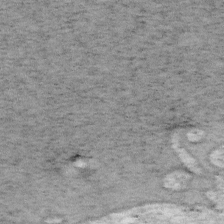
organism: Mouse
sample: OT-I killer T cells with ID8 ovarian cancer cells